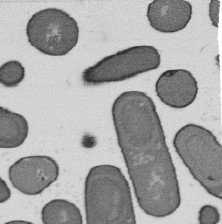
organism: B. subtilis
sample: Bacterial spore